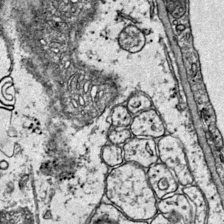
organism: Mouse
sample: Primary visual cortex